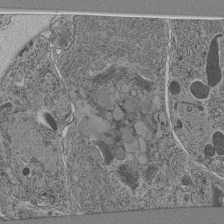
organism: C. elegans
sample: C. elegans pharynx